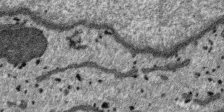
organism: Human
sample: Lung epithelial cells, uninfected (mock) control